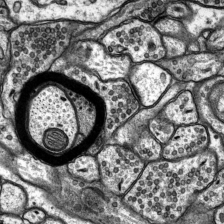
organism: Rat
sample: Hippocampus